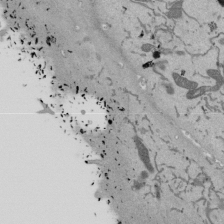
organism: Mouse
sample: ED-1 cell nuclei; centrioles